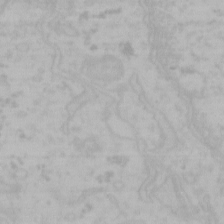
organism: Mouse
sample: Choroid plexus